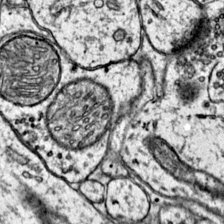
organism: Mouse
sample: Primary visual cortex